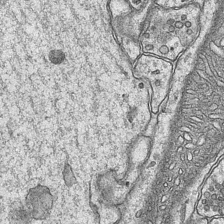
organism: Mouse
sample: CA1 Hippocampus